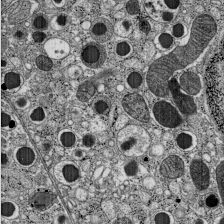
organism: C57BL Mouse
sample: Pancreatic islet